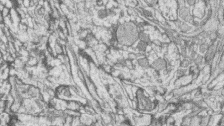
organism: Zebrafish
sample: synaptic ribbons in rod cells and cone cells